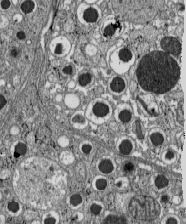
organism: C57BL Mouse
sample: Pancreatic islet